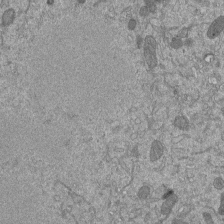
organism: Mouse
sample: ED-1 cell nuclei; centrioles